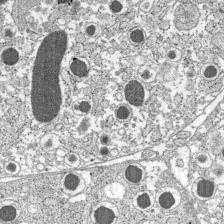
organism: C57BL Mouse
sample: Pancreatic islet